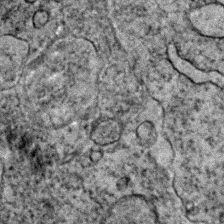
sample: Trachea